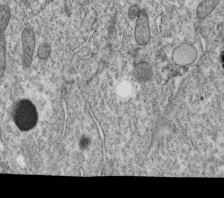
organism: C. elegans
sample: C. elegans oocyte; sperm cells